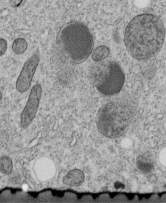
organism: C. elegans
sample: C. elegans embryo early stage